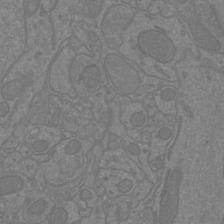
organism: Mouse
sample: Cortical neurons